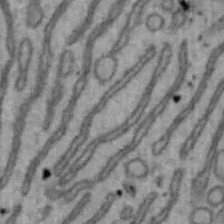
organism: Mouse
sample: Liver